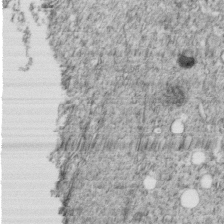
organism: C. elegans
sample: C. elegans embryo early stage